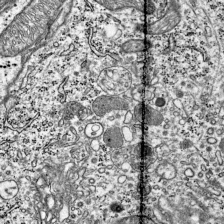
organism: Mouse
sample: Visual Cortex